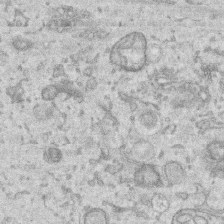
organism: Human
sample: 1205lu cells